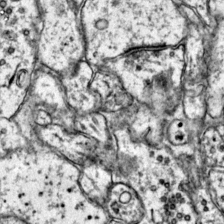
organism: Mouse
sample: Primary visual cortex